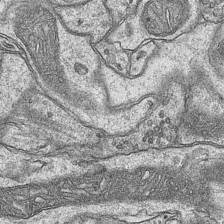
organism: Mouse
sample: CA1 Hippocampus